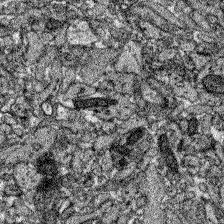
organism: Zebrafish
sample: Larval olfactory bulb